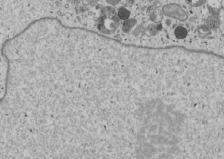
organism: Human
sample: Mitochondria in U2OS cells